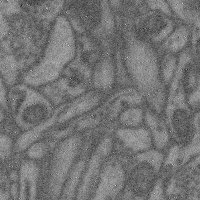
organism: Mouse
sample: Cerebral cortex